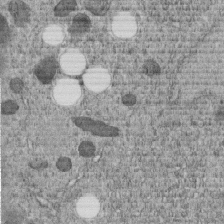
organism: C. elegans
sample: C. elegans embryo early stage